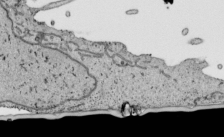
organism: Human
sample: Mitochondria in HCT116 cells